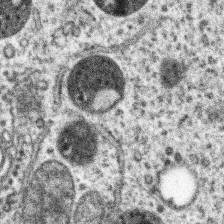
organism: Human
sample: HeLa cells